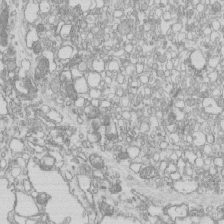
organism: Mouse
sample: Macrophages